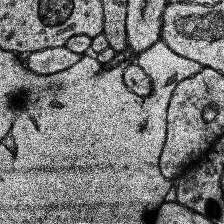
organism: Human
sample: Temporal Lobe